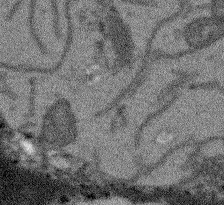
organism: Arabidopsis thaliana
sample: Root tip